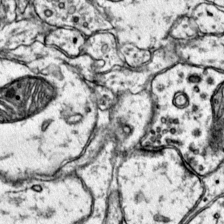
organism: Mouse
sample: Primary visual cortex